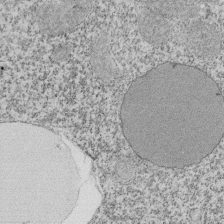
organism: Tetrahymena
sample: Cilia in tetrahymena